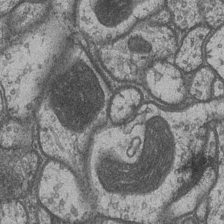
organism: Drosophila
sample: Optic medulla